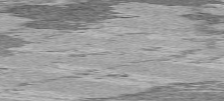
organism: C57BL Mouse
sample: Heart